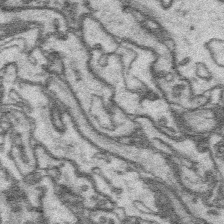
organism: Platynereis dumerilii